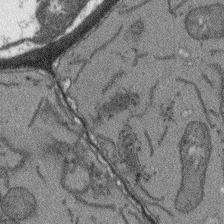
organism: Arabidopsis thaliana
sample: Root tip